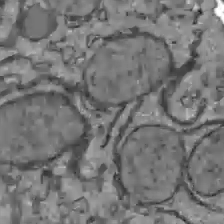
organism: C57BL Mouse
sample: Liver